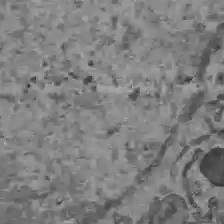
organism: C57BL Mouse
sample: Liver